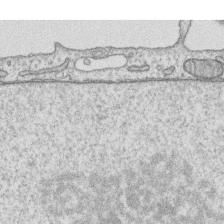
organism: Human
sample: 1205lu cells